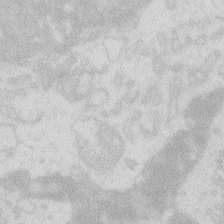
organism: Zebrafish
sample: Macrophage